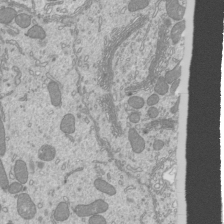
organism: Mouse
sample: Cilia; mouse epididymis